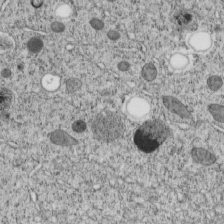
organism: C. elegans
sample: C. elegans embryo early stage